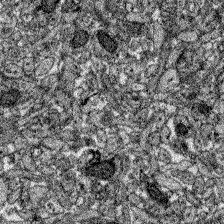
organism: Zebrafish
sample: Larval olfactory bulb